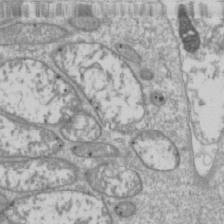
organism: Drosophila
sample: Cell division; meiosis; drosophila spermatocytes